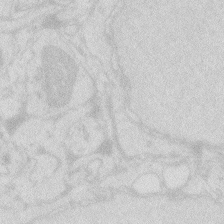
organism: Zebrafish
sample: Macrophage